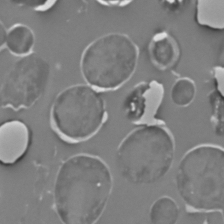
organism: C. elegans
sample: C. elegans embryo